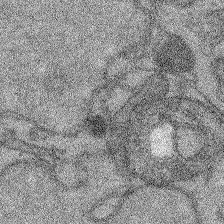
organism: Human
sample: HeLa cells